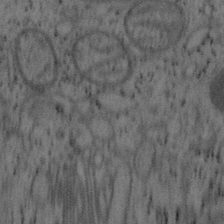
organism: Human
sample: HeLa cells